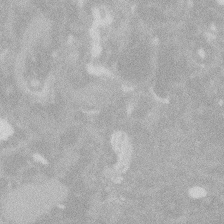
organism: Zebrafish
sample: Macrophage